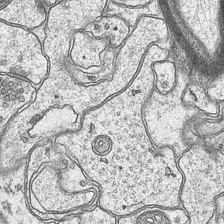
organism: Mouse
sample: CA1 Hippocampus